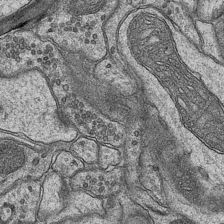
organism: Mouse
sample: CA1 Hippocampus